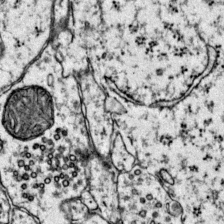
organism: Mouse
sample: Primary visual cortex